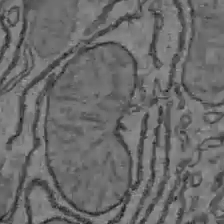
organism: C57BL Mouse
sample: Liver